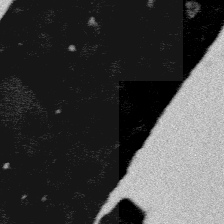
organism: Platynereis dumerilii